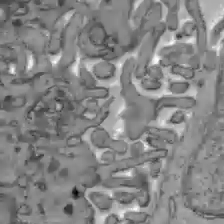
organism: C57BL Mouse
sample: Liver